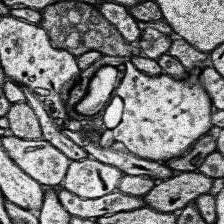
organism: Human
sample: Temporal Lobe